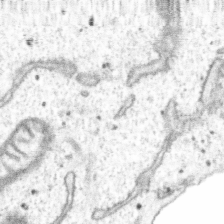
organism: Human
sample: HeLa cells